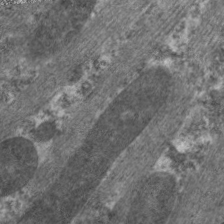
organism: C. elegans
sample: Pharynx